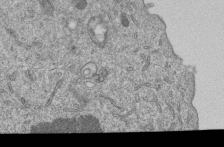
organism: Human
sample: MDA-MB-231 cells